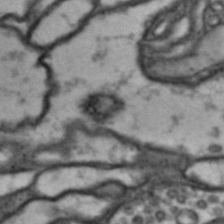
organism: Drosophila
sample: Brain